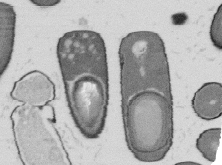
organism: B. subtilis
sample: Bacterial spore